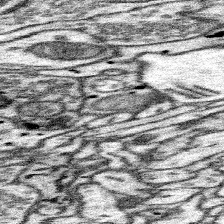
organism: Mouse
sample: Somatosensory cortex neuropil